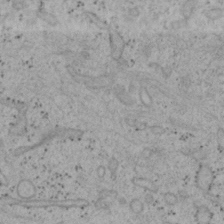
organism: Human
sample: HeLa cells